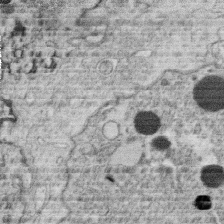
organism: C. elegans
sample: C. elegans oocyte; sperm cells